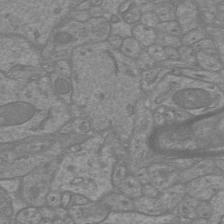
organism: Mouse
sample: Cortical neurons